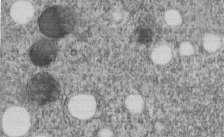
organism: C. elegans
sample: C. elegans embryo early stage